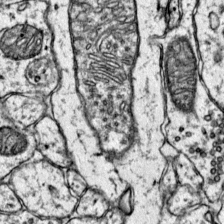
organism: Mouse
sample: Primary visual cortex